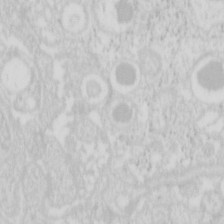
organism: Mouse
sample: Pancreas